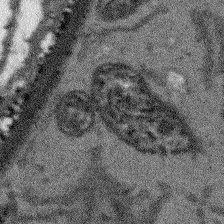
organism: Arabidopsis thaliana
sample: Root tip